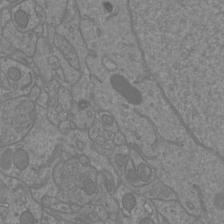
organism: Mouse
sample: Cortical neurons